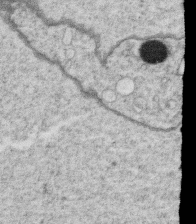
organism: C. elegans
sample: C. elegans oocyte; sperm cells